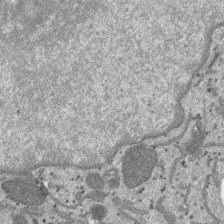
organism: Human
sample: Lung epithelial cells infected with SARS-CoV-2